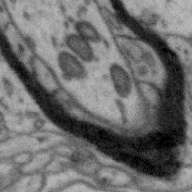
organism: Zebra finch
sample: Brain